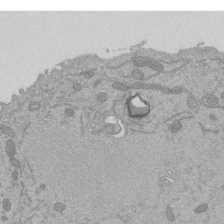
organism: Mouse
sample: ED-1 cell nuclei; centrioles